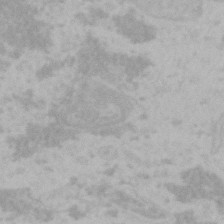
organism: Mouse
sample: Choroid plexus